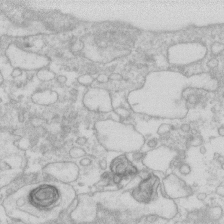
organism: Human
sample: Fibroblast cells